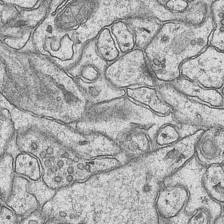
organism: Mouse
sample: CA1 Hippocampus